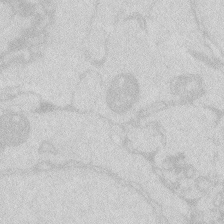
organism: Zebrafish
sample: Macrophage